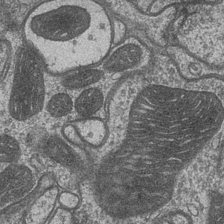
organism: Drosophila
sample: Optic medulla